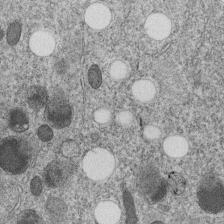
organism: C. elegans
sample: C. elegans embryo early stage